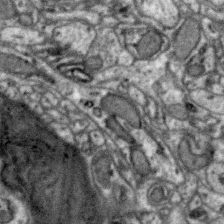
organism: Zebra finch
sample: Brain